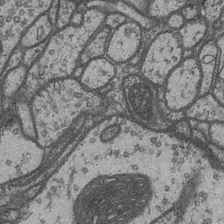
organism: Drosophila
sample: Optic medulla